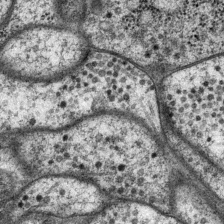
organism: P. pacificus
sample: Pharynx